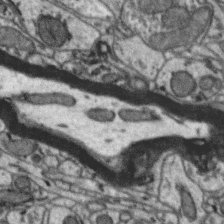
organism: Zebra finch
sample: Brain